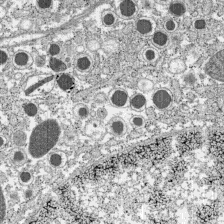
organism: C57BL Mouse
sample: Pancreatic islet